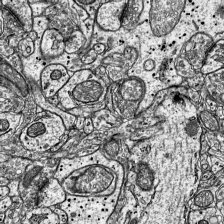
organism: Mouse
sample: Visual Cortex